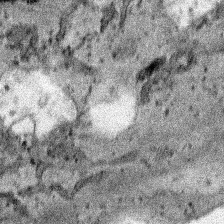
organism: Human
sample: Mitochondria in HCT116 cells